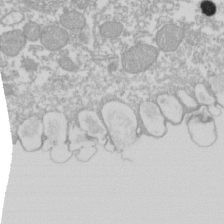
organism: Xenopus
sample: Cilia; centrioles in frog embryo cells